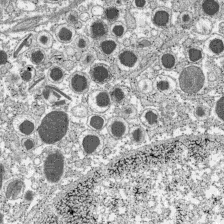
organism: C57BL Mouse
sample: Pancreatic islet